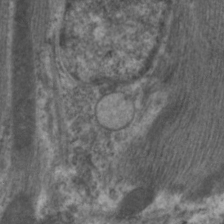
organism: C. elegans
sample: Pharynx